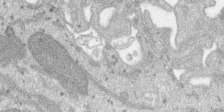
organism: Human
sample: Lung epithelial cells infected with SARS-CoV-2